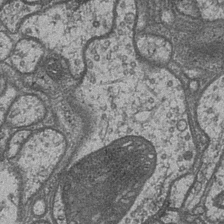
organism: Drosophila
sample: Optic medulla